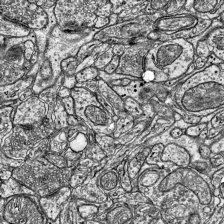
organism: Mouse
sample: Visual Cortex